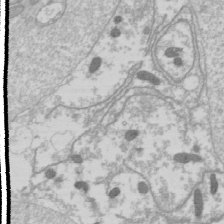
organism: Drosophila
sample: Cell division; meiosis; drosophila spermatocytes